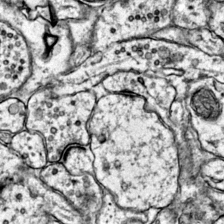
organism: Mouse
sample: Primary visual cortex